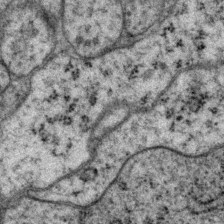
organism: P. pacificus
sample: Pharynx